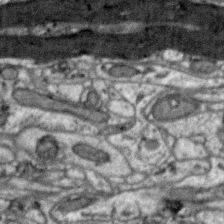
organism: Zebra finch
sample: Brain